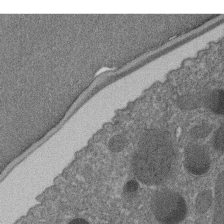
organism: C. elegans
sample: C. elegans embryo early stage